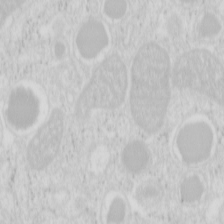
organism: Mouse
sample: Pancreas